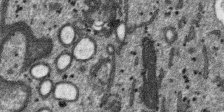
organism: Human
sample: Lung epithelial cells infected with SARS-CoV-2